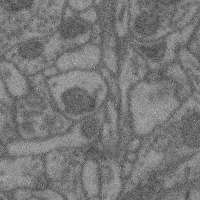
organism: Mouse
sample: Cerebral cortex